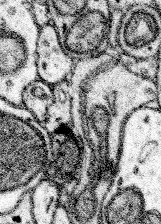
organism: Mouse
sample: Somatosensory cortex neuropil